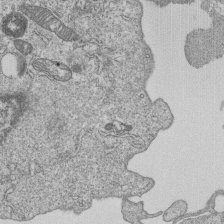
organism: Human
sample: MDA-MB-231 cells